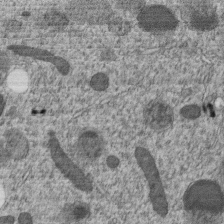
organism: C. elegans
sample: C. elegans embryo early stage